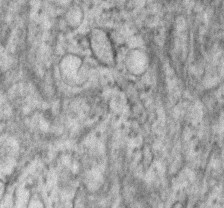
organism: Human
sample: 1205lu cells